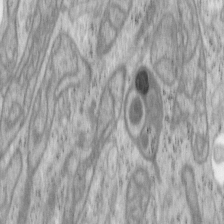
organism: Human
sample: HeLa cells